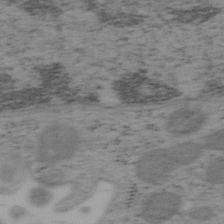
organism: Mouse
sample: OT-I killer T cells with ID8 ovarian cancer cells